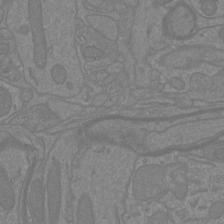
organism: Mouse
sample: Cortical neurons